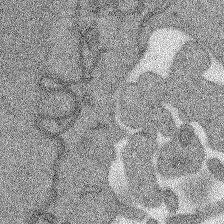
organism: Human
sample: HeLa cells